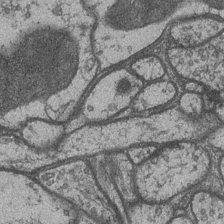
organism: Drosophila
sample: Optic medulla